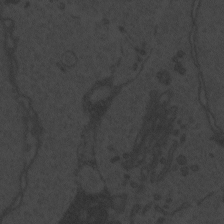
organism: Zebrafish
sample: Macrophage infected with Toxoplasma gondii